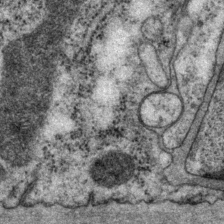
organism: P. pacificus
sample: Pharynx